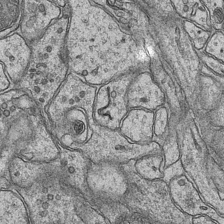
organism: Mouse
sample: CA1 Hippocampus